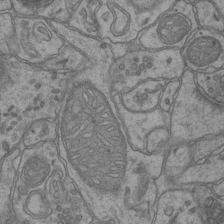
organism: Mouse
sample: CA1 Hippocampus